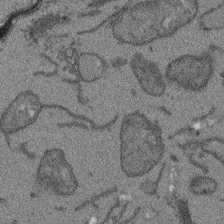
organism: Arabidopsis thaliana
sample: Root tip